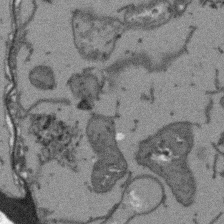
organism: Arabidopsis thaliana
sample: Root tip